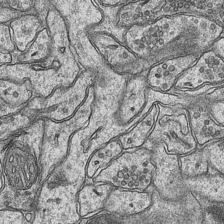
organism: Mouse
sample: CA1 Hippocampus